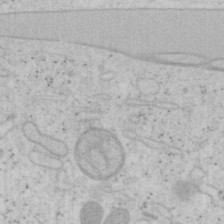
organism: Human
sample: HeLa cells